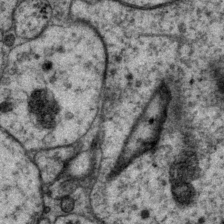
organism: P. pacificus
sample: Pharynx